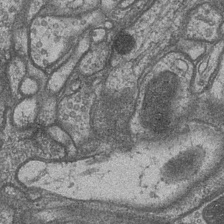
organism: Drosophila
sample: Optic medulla